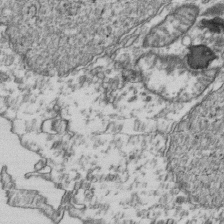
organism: Human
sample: Activated Jurkat CD4+ T cells